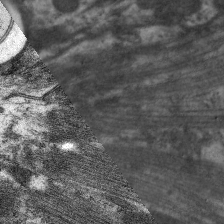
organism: C. elegans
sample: Pharynx